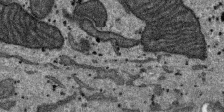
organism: Human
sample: Lung epithelial cells, uninfected (mock) control